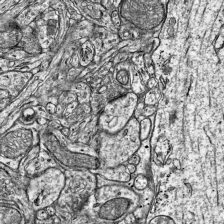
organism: Mouse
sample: Visual Cortex